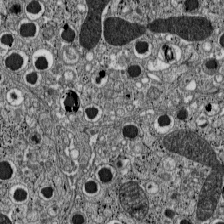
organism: C57BL Mouse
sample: Pancreatic islet